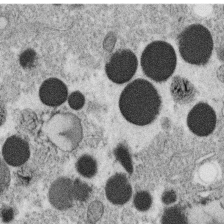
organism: C. elegans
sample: C. elegans oocyte; sperm cells